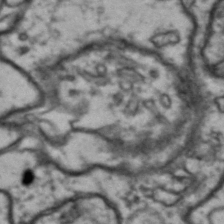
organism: Drosophila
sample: Brain